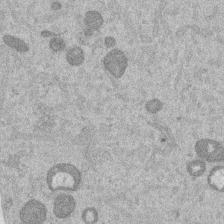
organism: Mouse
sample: Dividing mouse embryo 1 cell stage